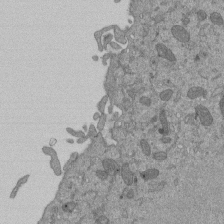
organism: Mouse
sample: ED-1 cell nuclei; centrioles